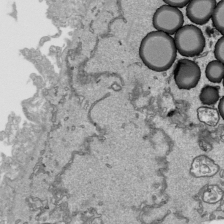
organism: Human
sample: Mitochondria in HCT116 cells